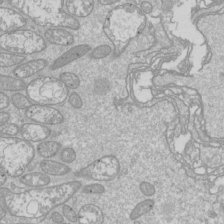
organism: Drosophila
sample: Cell division; meiosis; drosophila spermatocytes